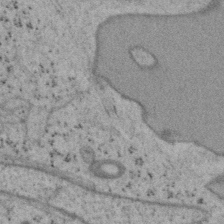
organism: Human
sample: HeLa cells